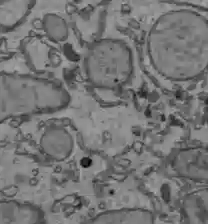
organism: C57BL Mouse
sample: Liver